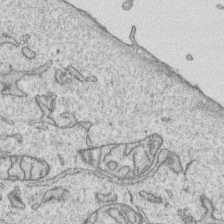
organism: Human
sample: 1205lu cells